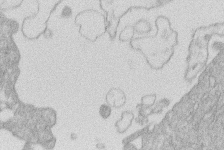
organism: Human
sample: Macrophage cells